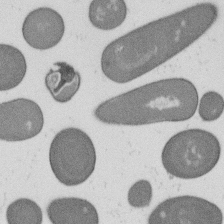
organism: B. subtilis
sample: Bacterial spore